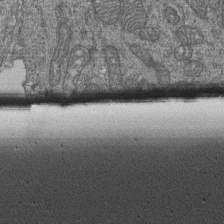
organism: Human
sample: Retinal organoid Rod and Cone cells